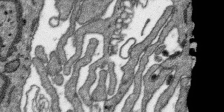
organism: Human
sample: Lung epithelial cells, uninfected (mock) control